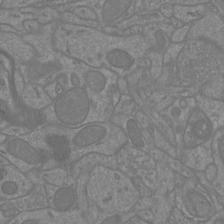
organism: Mouse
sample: Cortical neurons